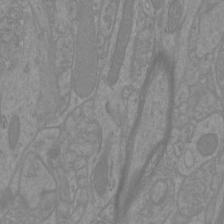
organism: Mouse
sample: Cortical neurons